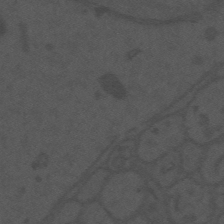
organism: Mouse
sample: Suprachiasmatic nucleus